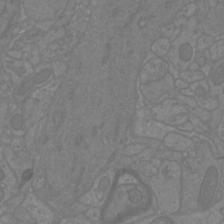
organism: Mouse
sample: Cortical neurons